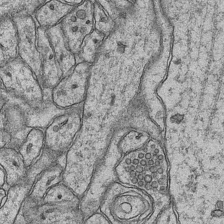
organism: Mouse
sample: CA1 Hippocampus